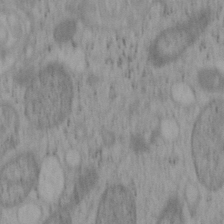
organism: Mouse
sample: OT-I killer T cells with ID8 ovarian cancer cells